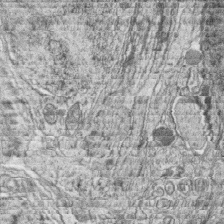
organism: Zebrafish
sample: synaptic ribbons in rod cells and cone cells